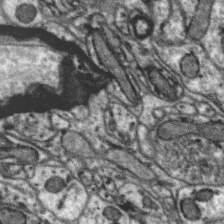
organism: Zebra finch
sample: Brain